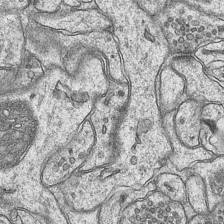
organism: Mouse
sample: CA1 Hippocampus